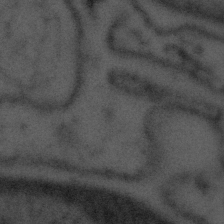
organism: Tuwongella immobilis